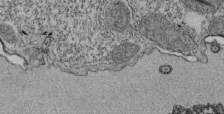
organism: Tetrahymena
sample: Cilia in tetrahymena